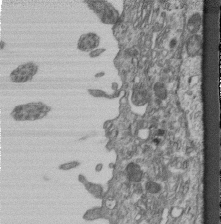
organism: Mouse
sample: Centriole in ependymal cells